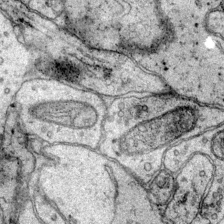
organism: Mouse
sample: Primary visual cortex